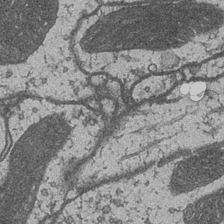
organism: Drosophila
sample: Optic medulla